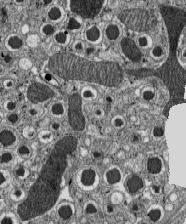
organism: C57BL Mouse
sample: Pancreatic islet